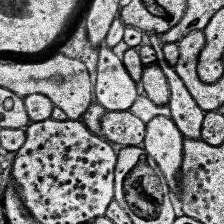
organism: Human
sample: Temporal Lobe